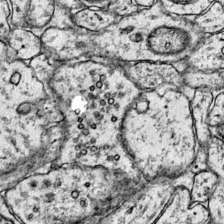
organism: Mouse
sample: Primary visual cortex